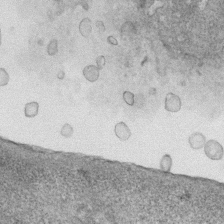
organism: Human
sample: Mitochondria in HCT116 cells